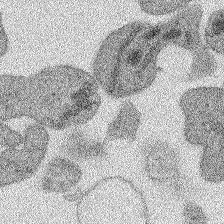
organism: Human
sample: HeLa cells